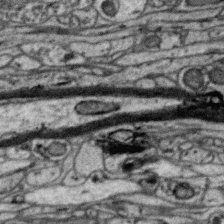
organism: Zebra finch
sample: Brain